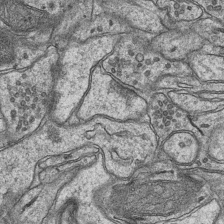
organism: Mouse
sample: CA1 Hippocampus